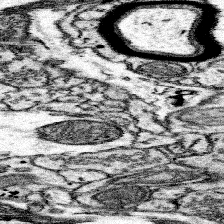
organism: Mouse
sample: Somatosensory cortex neuropil